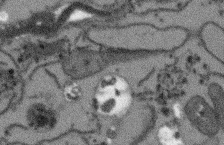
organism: Arabidopsis thaliana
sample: Root tip